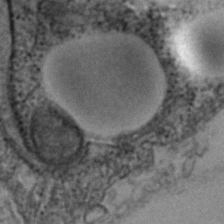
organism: Human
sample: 1205lu cells